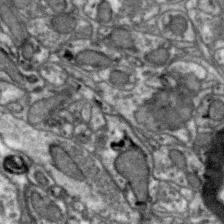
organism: Zebra finch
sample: Brain